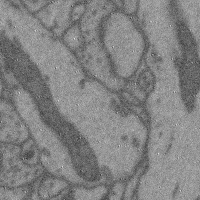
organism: Mouse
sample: Cerebral cortex